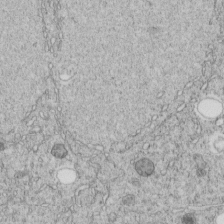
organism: C. elegans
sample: C. elegans embryo early stage